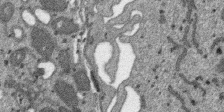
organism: Human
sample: Lung epithelial cells infected with SARS-CoV-2